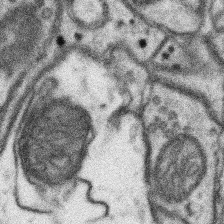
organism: Mouse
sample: Somatosensory cortex neuropil